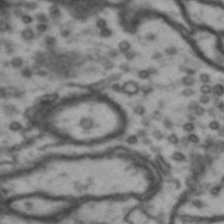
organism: Drosophila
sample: Brain